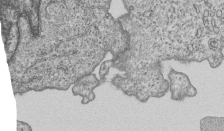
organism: Human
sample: MDA-MB-231 cells